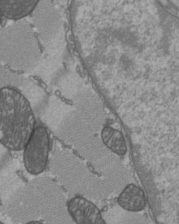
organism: C57BL Mouse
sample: Heart